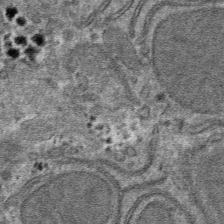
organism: Mouse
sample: Mouse hepatocytes